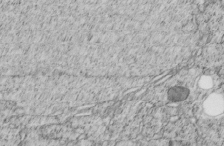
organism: C. elegans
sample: C. elegans embryo early stage